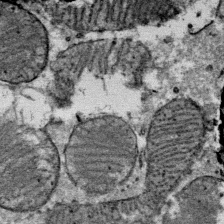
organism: Mouse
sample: Mouse Salivary gland